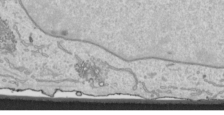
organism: Human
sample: Mitochondria in HCT116 cells